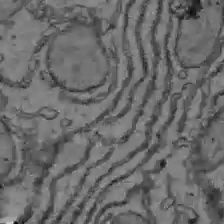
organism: C57BL Mouse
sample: Liver